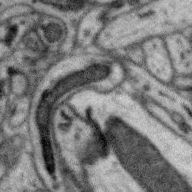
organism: Zebra finch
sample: Brain